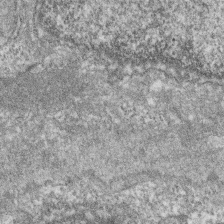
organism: Zebrafish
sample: Cilia; retinal pigment epithelium